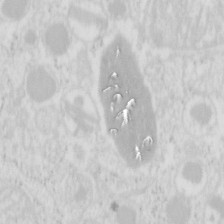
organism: Mouse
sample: Pancreas